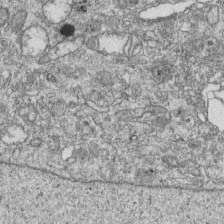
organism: Human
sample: HeLa cell HIV synapse